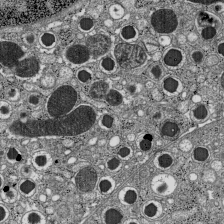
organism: C57BL Mouse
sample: Pancreatic islet